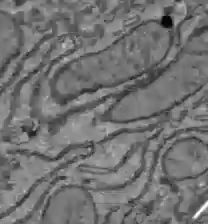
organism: C57BL Mouse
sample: Liver